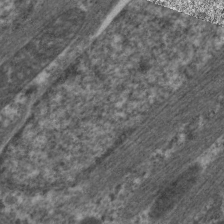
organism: C. elegans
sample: Pharynx